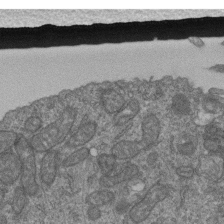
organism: Human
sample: Retinal organoid Rod and Cone cells